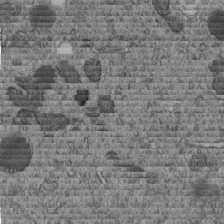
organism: C. elegans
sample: C. elegans embryo early stage